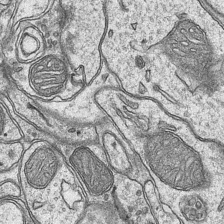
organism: Mouse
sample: CA1 Hippocampus